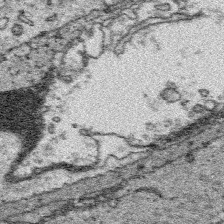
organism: Platynereis dumerilii